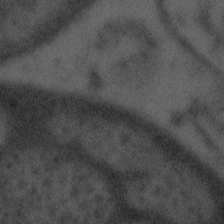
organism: Tuwongella immobilis